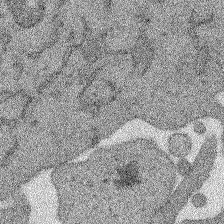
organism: Human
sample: HeLa cells